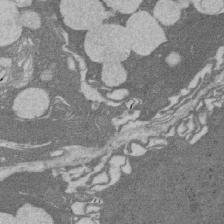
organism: Rat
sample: Salivary granule